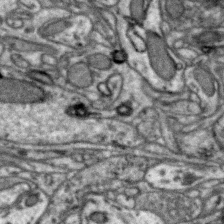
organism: Zebra finch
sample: Brain